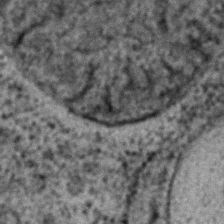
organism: C. elegans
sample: C. elegans embryo